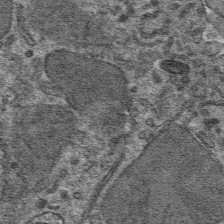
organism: Mouse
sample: Mouse hepatocytes